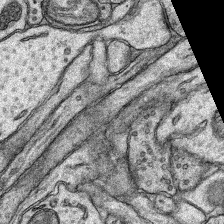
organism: Rat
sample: Hippocampus